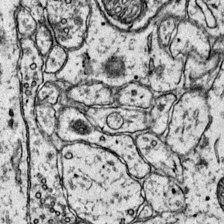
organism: Mouse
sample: Primary visual cortex